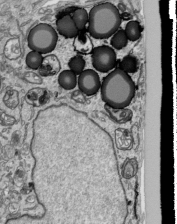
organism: Human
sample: Mitochondria in HCT116 cells